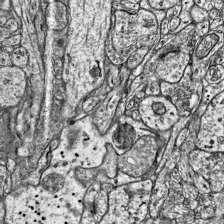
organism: Mouse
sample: Visual Cortex